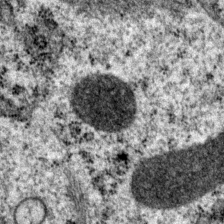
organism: P. pacificus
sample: Pharynx